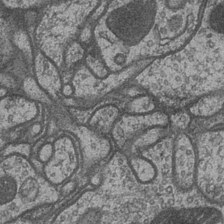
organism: Drosophila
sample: Optic medulla